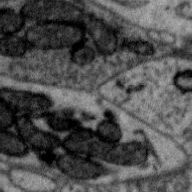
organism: Zebra finch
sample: Brain